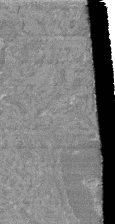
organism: Mouse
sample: Glomerulus